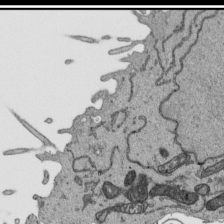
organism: Human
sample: Mitochondria in HCT116 cells